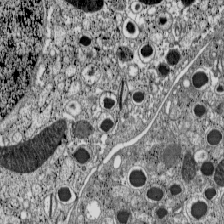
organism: C57BL Mouse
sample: Pancreatic islet